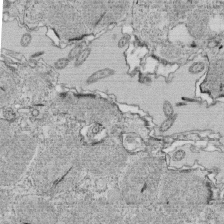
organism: Tetrahymena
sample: Cilia in tetrahymena